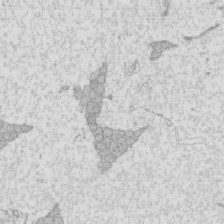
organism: Mouse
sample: Cilia; mouse epididymis